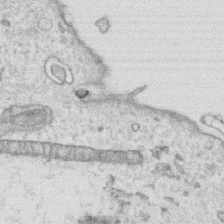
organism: Human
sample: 1205lu cells